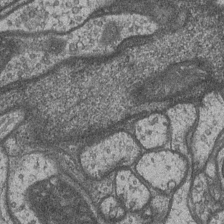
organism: Drosophila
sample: Optic medulla